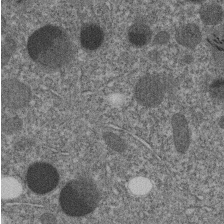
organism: C. elegans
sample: C. elegans embryo early stage